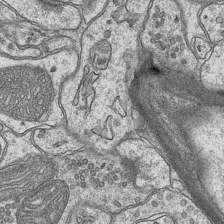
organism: Mouse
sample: CA1 Hippocampus